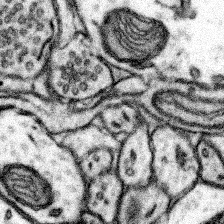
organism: Mouse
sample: Somatosensory cortex neuropil